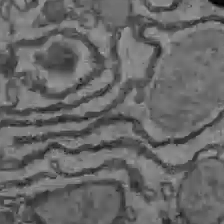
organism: C57BL Mouse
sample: Liver